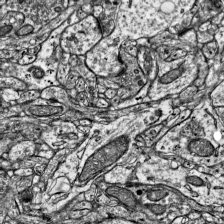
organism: Mouse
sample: Visual Cortex